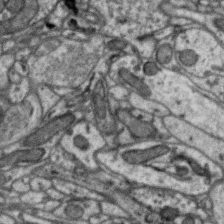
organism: Zebra finch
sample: Brain